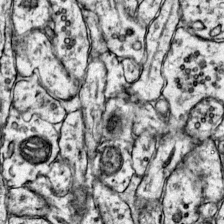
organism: Mouse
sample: Primary visual cortex